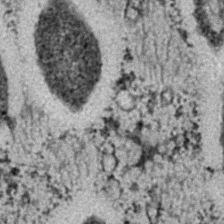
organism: C. elegans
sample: C. elegans embryo